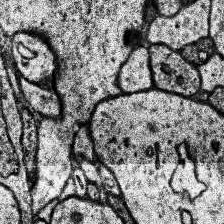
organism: Human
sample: Temporal Lobe